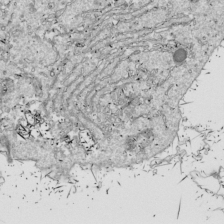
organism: Drosophila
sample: Cell division; meiosis; drosophila spermatocytes